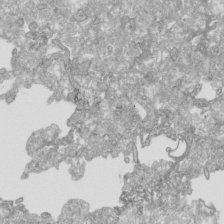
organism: Human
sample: Mitochondria in HCT116 cells